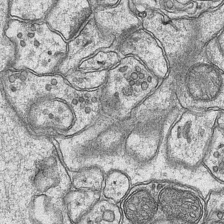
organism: Mouse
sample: CA1 Hippocampus